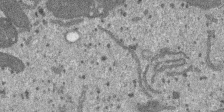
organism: Human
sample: Lung epithelial cells infected with SARS-CoV-2